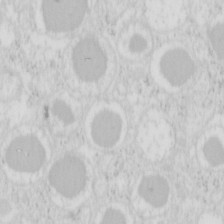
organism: Mouse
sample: Pancreas